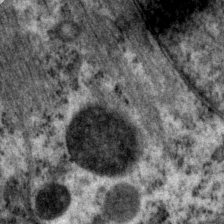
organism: P. pacificus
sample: Pharynx